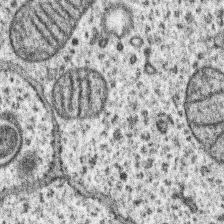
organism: Human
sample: HeLa cells